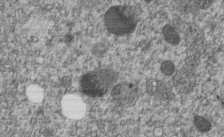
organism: C. elegans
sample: C. elegans embryo early stage